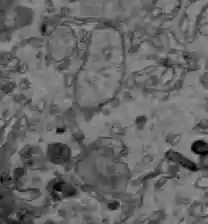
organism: C57BL Mouse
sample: Liver